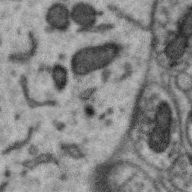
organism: Zebra finch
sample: Brain